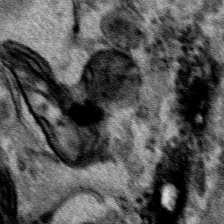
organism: Human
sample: Mitochondria in HCT116 cells